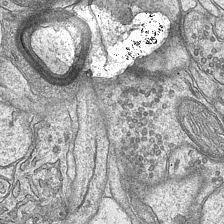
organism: Mouse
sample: CA1 Hippocampus